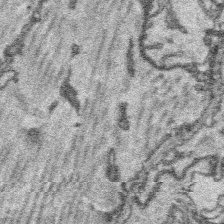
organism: Platynereis dumerilii